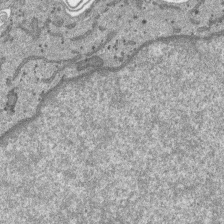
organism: Human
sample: Lung epithelial cells infected with SARS-CoV-2